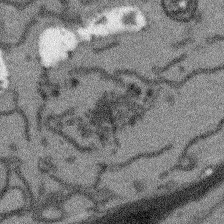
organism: Arabidopsis thaliana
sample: Root tip